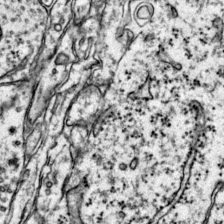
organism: Mouse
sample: Primary visual cortex